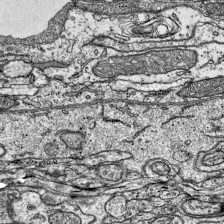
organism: Mouse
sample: Visual Cortex